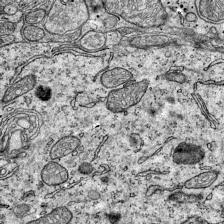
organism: Mouse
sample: Visual Cortex